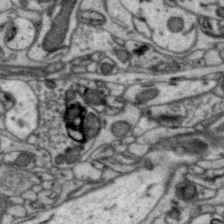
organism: Zebra finch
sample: Brain